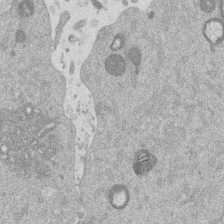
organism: Mouse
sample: Dividing mouse embryo 1 cell stage